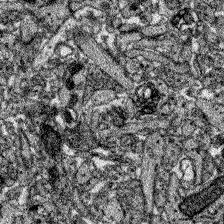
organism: Zebrafish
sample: Larval olfactory bulb